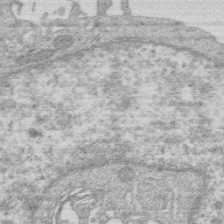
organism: Human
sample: Macrophage cells